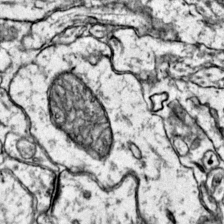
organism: Mouse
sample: Primary visual cortex